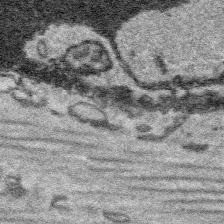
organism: Platynereis dumerilii